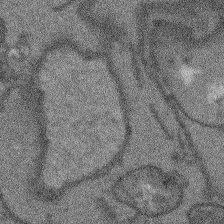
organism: Arabidopsis thaliana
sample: Root tip